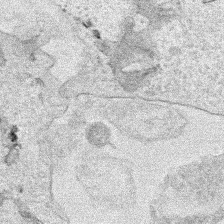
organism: Human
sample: Mitochondria in HCT116 cells